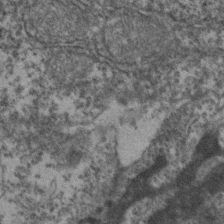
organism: Zebrafish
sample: Zebrafish embryo